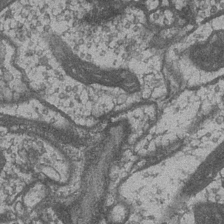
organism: Drosophila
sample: Optic medulla